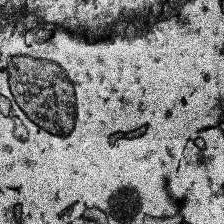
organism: Human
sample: Temporal Lobe